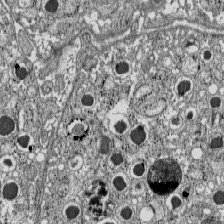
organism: C57BL Mouse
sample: Pancreatic islet